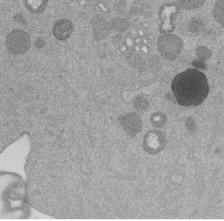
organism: Mouse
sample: Dividing mouse embryo 1 cell stage